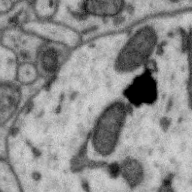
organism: Zebra finch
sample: Brain